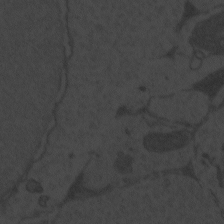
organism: Zebrafish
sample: Macrophage infected with Toxoplasma gondii